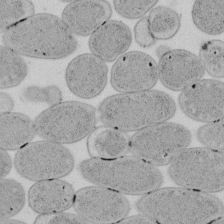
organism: E. coli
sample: Bacterial nucleoid